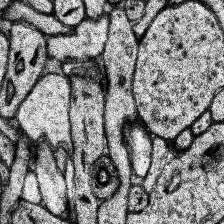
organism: Human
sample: Temporal Lobe